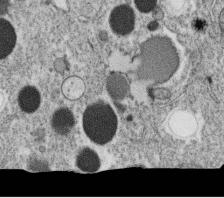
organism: C. elegans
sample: C. elegans oocyte; sperm cells